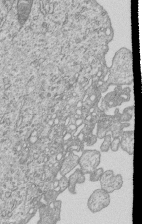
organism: Human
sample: MDA-MB-231 cells